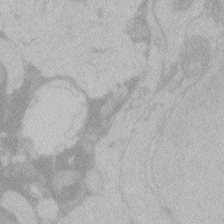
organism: Zebrafish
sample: Macrophage infected with Toxoplasma gondii